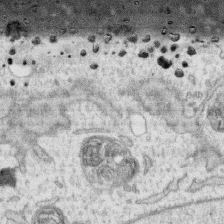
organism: Human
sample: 1205lu cells